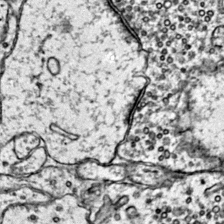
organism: Mouse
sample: Primary visual cortex